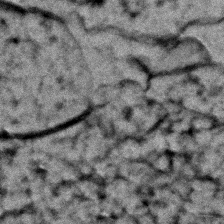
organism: Zebrafish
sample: Zebrafish embryo